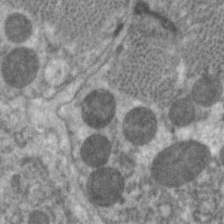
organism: C. elegans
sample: Pharynx